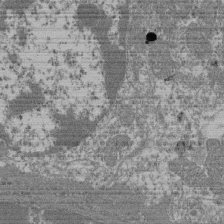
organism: Mouse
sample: Glomerulus